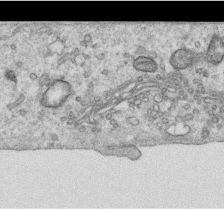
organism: Human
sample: Centriole in RPE cells